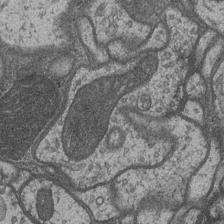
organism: Drosophila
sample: Optic medulla